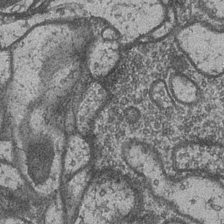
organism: Drosophila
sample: Optic medulla